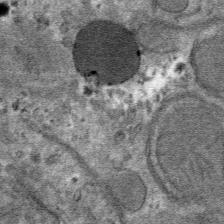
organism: Mouse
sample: Mouse hepatocytes